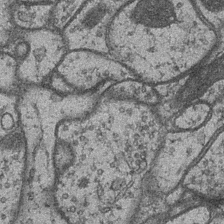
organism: Drosophila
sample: Optic medulla